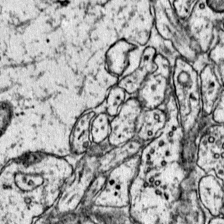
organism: Mouse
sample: Primary visual cortex